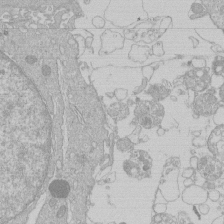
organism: Human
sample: Macrophage cells